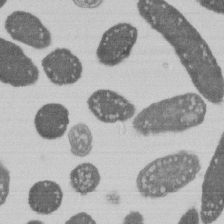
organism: E. coli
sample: Bacterial nucleoid